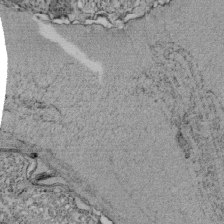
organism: Tetrahymena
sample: Cilia in tetrahymena